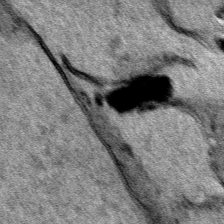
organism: Human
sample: Mitochondria in HCT116 cells